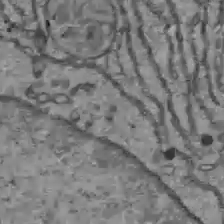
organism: C57BL Mouse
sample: Liver